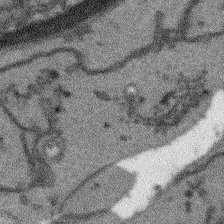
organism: Arabidopsis thaliana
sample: Root tip